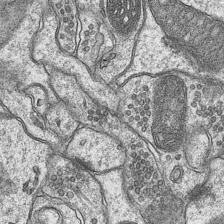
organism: Mouse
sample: CA1 Hippocampus